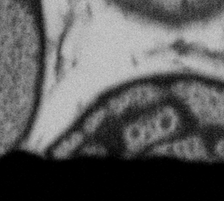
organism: Gemmata obscuriglobus